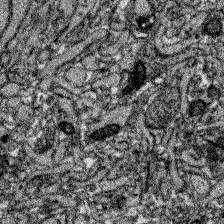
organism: Zebrafish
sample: Larval olfactory bulb